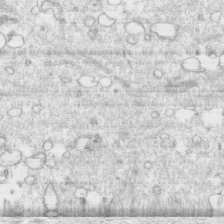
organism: Human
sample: CRL-1474